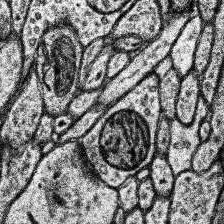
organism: Human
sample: Temporal Lobe